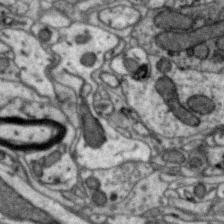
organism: Zebra finch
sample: Brain